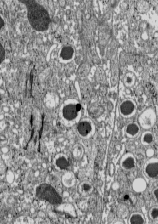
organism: C57BL Mouse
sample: Pancreatic islet